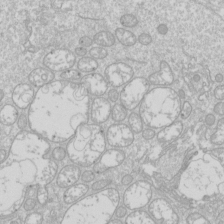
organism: Drosophila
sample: Cell division; meiosis; drosophila spermatocytes